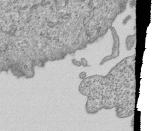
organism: Human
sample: MDA-MB-231 cells